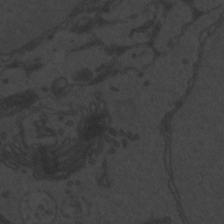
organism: Zebrafish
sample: Macrophage infected with Toxoplasma gondii